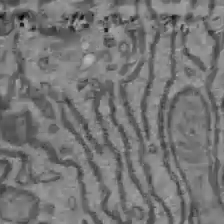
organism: C57BL Mouse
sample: Liver